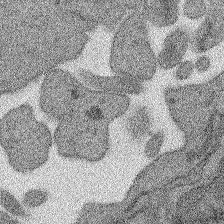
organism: Human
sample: HeLa cells